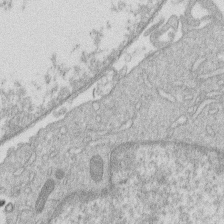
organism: Human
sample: Macrophage cells